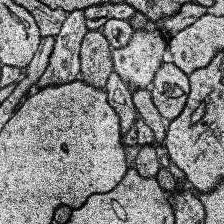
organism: Human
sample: Temporal Lobe